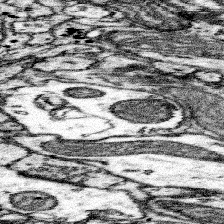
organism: Mouse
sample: Somatosensory cortex neuropil